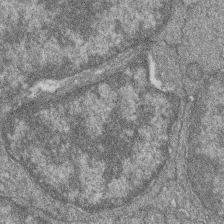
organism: Zebrafish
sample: Cilia; retinal pigment epithelium